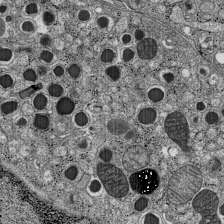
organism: C57BL Mouse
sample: Pancreatic islet